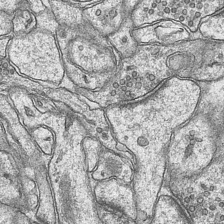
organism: Mouse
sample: CA1 Hippocampus